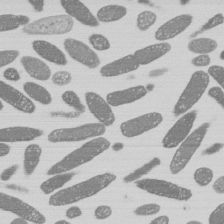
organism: E. coli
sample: Bacterial nucleoid